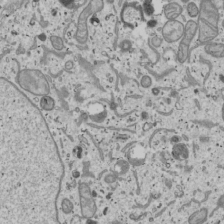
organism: Human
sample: Mitochondria in U2OS cells